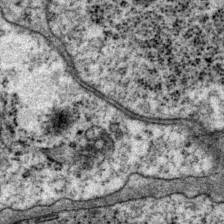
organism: P. pacificus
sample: Pharynx